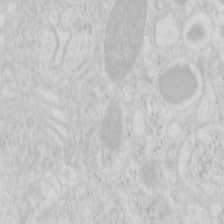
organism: Mouse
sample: Pancreas